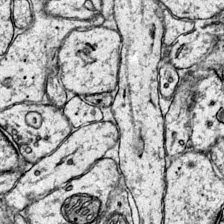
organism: Mouse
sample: Primary visual cortex